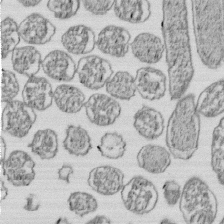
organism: E. coli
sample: Bacterial nucleoid